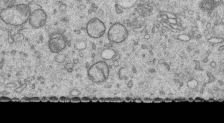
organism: Human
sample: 1205lu cells